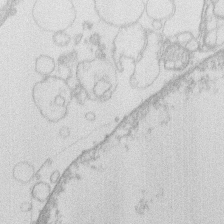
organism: Human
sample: Macrophage cells